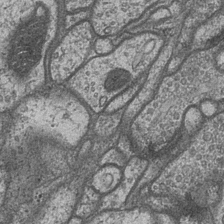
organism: Drosophila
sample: Optic medulla